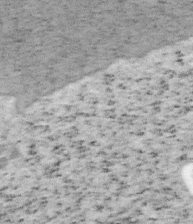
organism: Mouse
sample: OT-I killer T cells with ID8 ovarian cancer cells